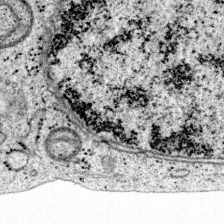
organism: Human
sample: HeLa cells